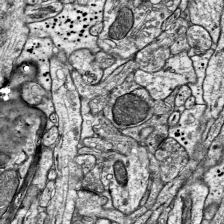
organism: Mouse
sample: Visual Cortex